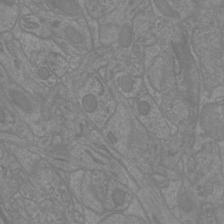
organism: Mouse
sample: Cortical neurons